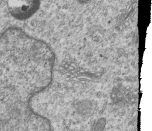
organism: Human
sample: MDA-MB-231 cells